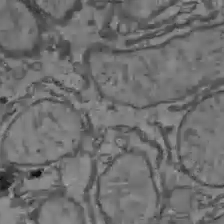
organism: C57BL Mouse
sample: Liver